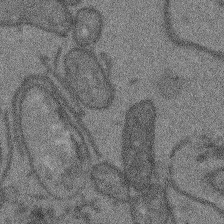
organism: Arabidopsis thaliana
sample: Root tip